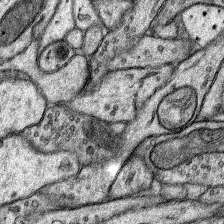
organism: Rat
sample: Hippocampus